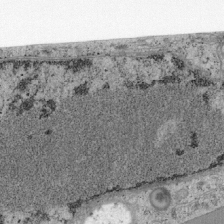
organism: Human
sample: HeLa cells